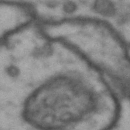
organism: Drosophila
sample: Brain